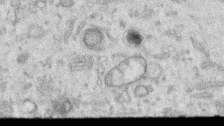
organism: Human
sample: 1205lu cells